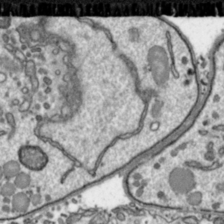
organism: Toxoplasma gondii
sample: Parasites in a vacuole inside a host cell